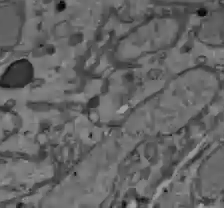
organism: C57BL Mouse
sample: Liver